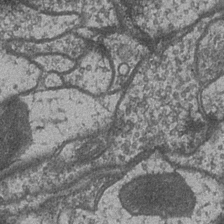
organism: Drosophila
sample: Optic medulla